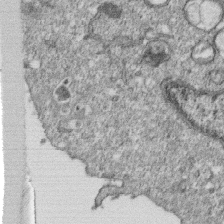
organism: African green monkey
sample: Vero E6 cells infected with SARS-CoV-2